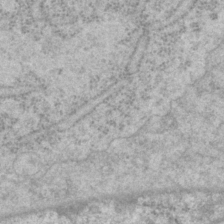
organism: P. pacificus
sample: Pharynx